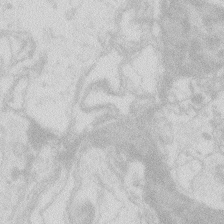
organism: Zebrafish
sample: Macrophage